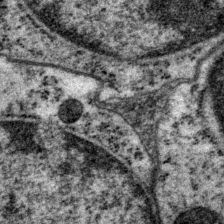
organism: P. pacificus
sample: Pharynx